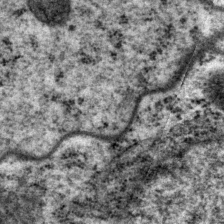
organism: P. pacificus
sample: Pharynx